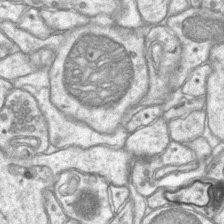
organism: Mouse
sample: CA1 Hippocampus